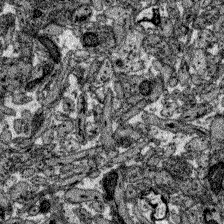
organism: Zebrafish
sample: Larval olfactory bulb